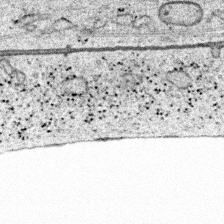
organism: Human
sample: HeLa cells